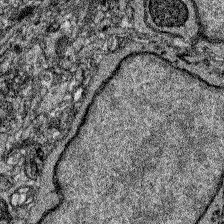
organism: Zebrafish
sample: Larval olfactory bulb